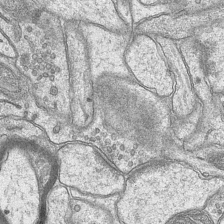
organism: Mouse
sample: CA1 Hippocampus